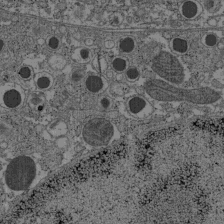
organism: C57BL Mouse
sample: Pancreatic islet